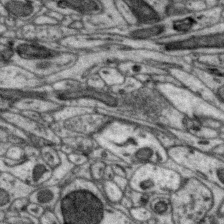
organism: Zebra finch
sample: Brain